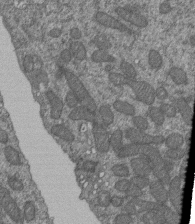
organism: Human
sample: Retinal organoid Rod and Cone cells